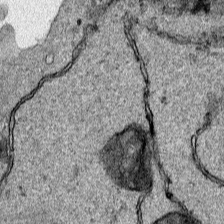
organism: Human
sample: Mitochondria in HCT116 cells